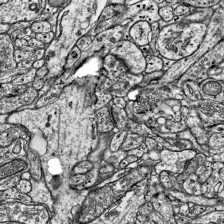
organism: Mouse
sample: Visual Cortex